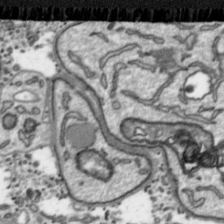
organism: Toxoplasma gondii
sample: Parasites in a vacuole inside a host cell